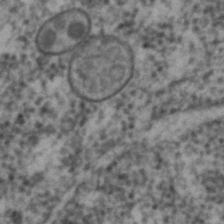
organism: C. elegans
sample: C. elegans embryo